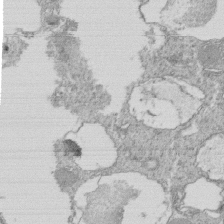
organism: Tetrahymena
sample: Cilia in tetrahymena